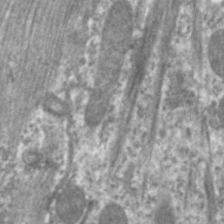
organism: C. elegans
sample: Pharynx